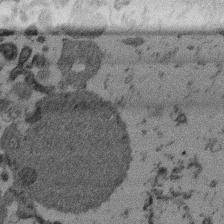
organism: Mouse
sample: Dividing mouse embryo 1 cell stage